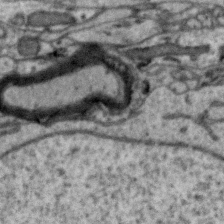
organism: Zebra finch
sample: Brain